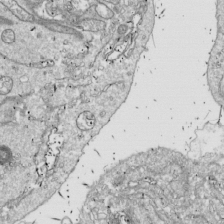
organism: Drosophila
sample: Cell division; meiosis; drosophila spermatocytes